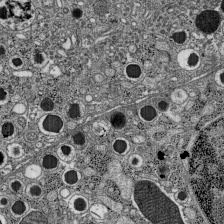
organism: C57BL Mouse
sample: Pancreatic islet